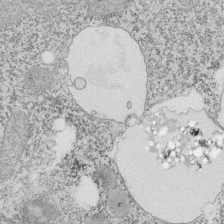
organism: Tetrahymena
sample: Cilia in tetrahymena